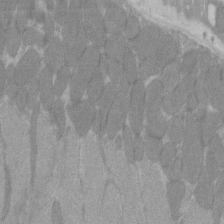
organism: C57BL Mouse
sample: Tibialis anterior muscle cell